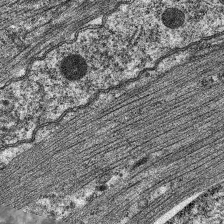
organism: C. elegans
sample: Pharynx